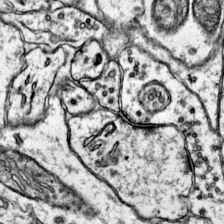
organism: Mouse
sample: Primary visual cortex